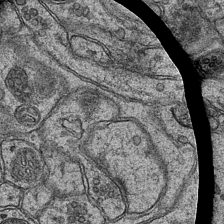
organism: Mouse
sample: CA1 Hippocampus